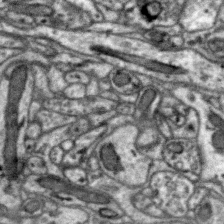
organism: Zebra finch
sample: Brain